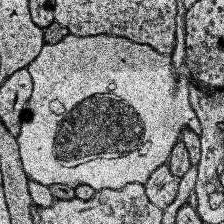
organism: Human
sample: Temporal Lobe